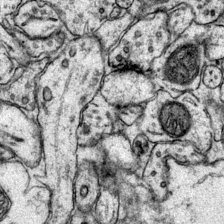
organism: Mouse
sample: Primary visual cortex